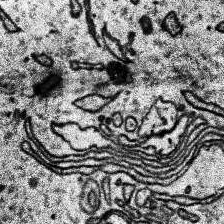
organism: Human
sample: Temporal Lobe